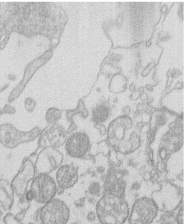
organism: Human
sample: Macrophage cells